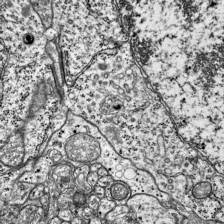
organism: Mouse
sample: Visual Cortex